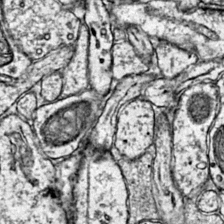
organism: Mouse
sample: Primary visual cortex